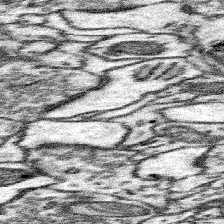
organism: Mouse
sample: Somatosensory cortex neuropil